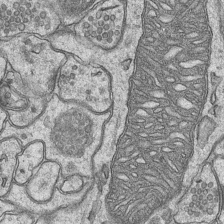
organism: Mouse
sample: CA1 Hippocampus